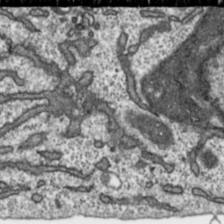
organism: Toxoplasma gondii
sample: Parasites in a vacuole inside a host cell